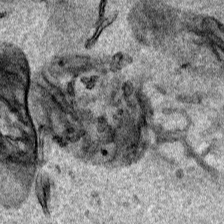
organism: Human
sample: Mitochondria in HCT116 cells